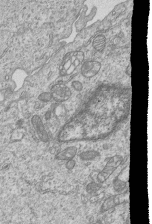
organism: Human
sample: MDA-MB-231 cells